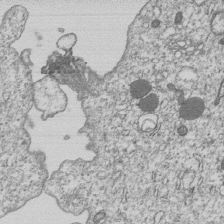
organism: Human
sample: MDA-MB-231 cells